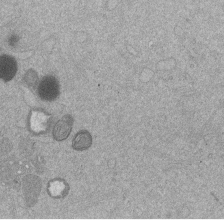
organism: Mouse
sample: Dividing mouse embryo 1 cell stage